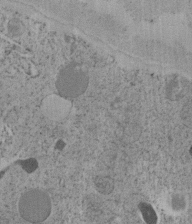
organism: C. elegans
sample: C. elegans embryo early stage